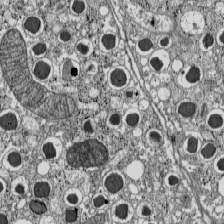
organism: C57BL Mouse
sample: Pancreatic islet